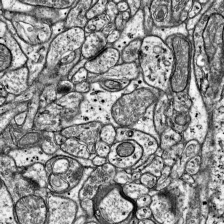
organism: Mouse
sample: Visual Cortex